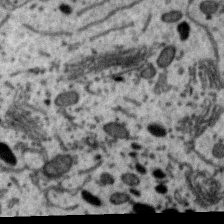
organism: Zebra finch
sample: Brain